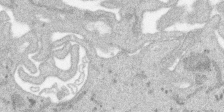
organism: Human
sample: Lung epithelial cells infected with SARS-CoV-2